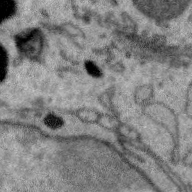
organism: Zebra finch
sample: Brain